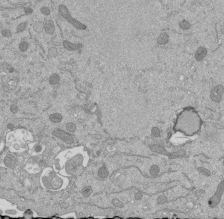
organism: Mouse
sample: ED-1 cell nuclei; centrioles